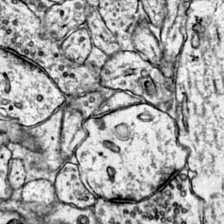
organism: Mouse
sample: Primary visual cortex